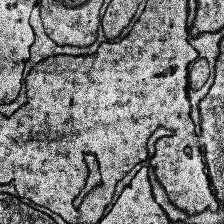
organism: Human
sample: Temporal Lobe